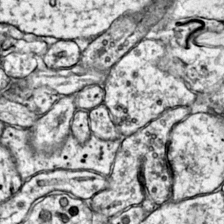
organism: Mouse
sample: Primary visual cortex